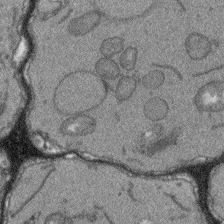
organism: Arabidopsis thaliana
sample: Root tip